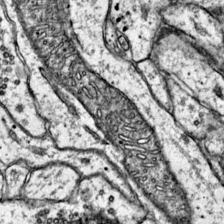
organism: Mouse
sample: Primary visual cortex